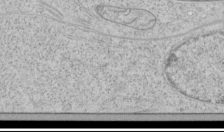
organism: Human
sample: Mitochondria in HCT116 cells